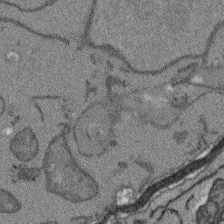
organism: Arabidopsis thaliana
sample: Root tip